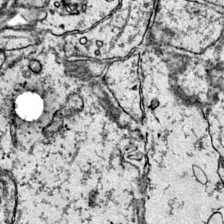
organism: Mouse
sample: Primary visual cortex